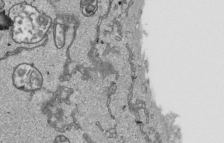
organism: Human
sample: Mitochondria in HCT116 cells